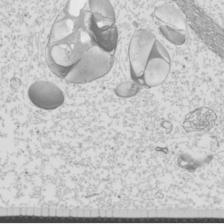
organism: Mouse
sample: Cilia; mouse epididymis